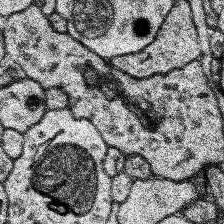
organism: Human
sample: Temporal Lobe